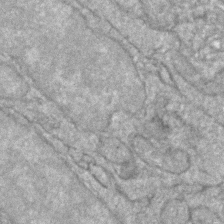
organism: Zebrafish